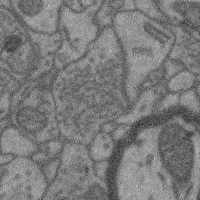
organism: Mouse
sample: Cerebral cortex